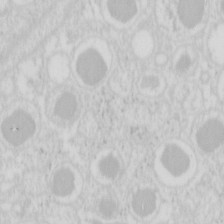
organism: Mouse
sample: Pancreas